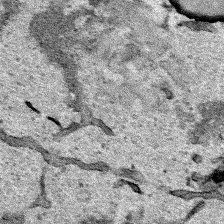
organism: Human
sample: Mitochondria in HCT116 cells